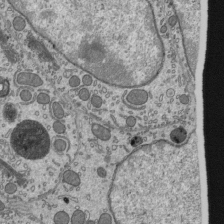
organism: Mouse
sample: Mouse epididymis efferent ductule cilia